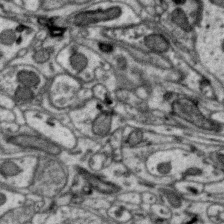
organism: Zebra finch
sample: Brain